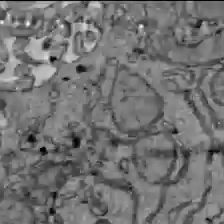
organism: C57BL Mouse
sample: Liver